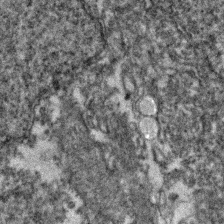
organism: Zebrafish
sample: Zebrafish embryo